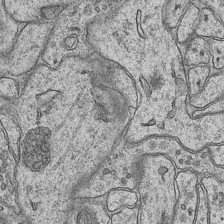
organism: Mouse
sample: CA1 Hippocampus